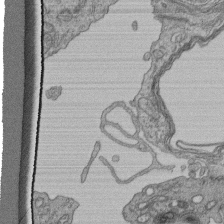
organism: Human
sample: Retinal organoid Rod and Cone cells